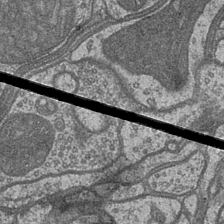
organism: Drosophila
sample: Optic medulla